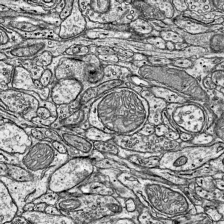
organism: Mouse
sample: Visual Cortex